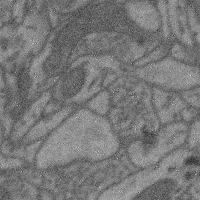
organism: Mouse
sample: Cerebral cortex